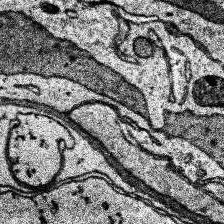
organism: Human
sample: Temporal Lobe